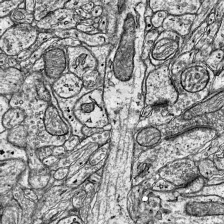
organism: Mouse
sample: Visual Cortex